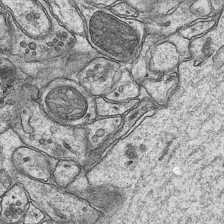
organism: Mouse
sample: CA1 Hippocampus